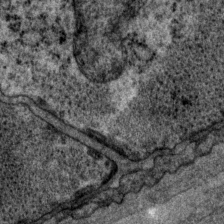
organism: P. pacificus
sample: Pharynx